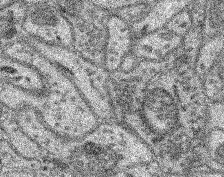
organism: Mouse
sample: Retina